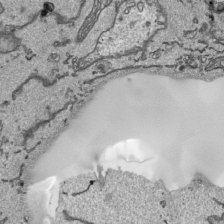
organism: Human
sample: Mitochondria in HCT116 cells